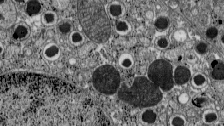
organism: C57BL Mouse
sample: Pancreatic islet